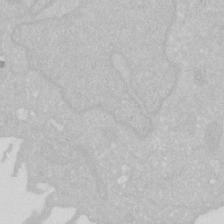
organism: Human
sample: HIV infected U937 cells